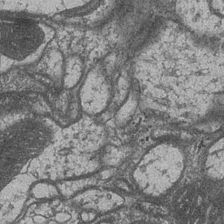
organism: Drosophila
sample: Optic medulla